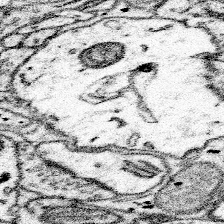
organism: Mouse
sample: Somatosensory cortex neuropil